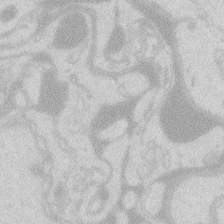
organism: Zebrafish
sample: Macrophage